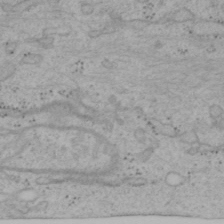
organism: Human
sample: HeLa cells